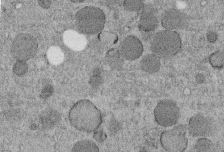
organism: C. elegans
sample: C. elegans embryo early stage